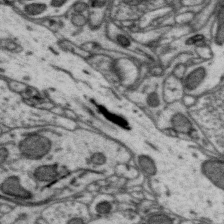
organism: Zebra finch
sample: Brain